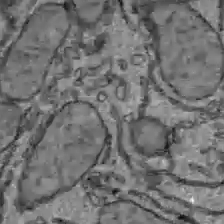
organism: C57BL Mouse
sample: Liver